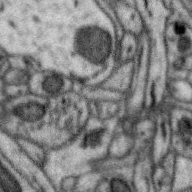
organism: Zebra finch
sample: Brain